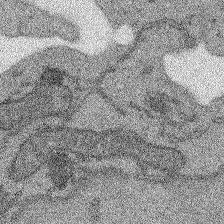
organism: Human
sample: HeLa cells